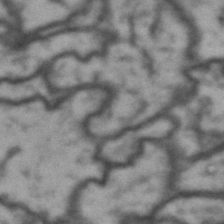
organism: Drosophila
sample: Brain